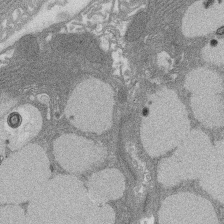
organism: Rat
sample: Salivary granule